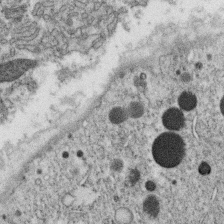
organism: C. elegans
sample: C. elegans oocyte; sperm cells